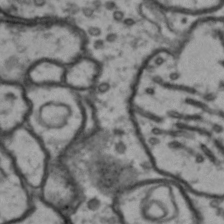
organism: Drosophila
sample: Brain